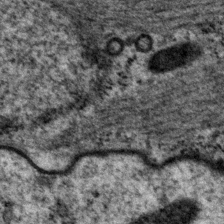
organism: P. pacificus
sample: Pharynx